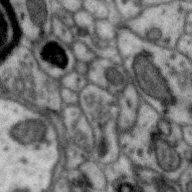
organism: Zebra finch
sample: Brain